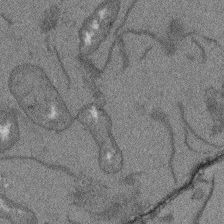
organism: Arabidopsis thaliana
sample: Root tip